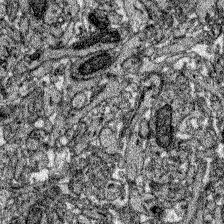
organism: Zebrafish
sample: Larval olfactory bulb